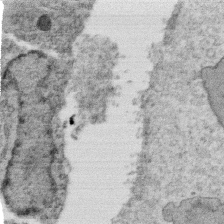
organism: C. elegans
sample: C. elegans oocyte; sperm cells